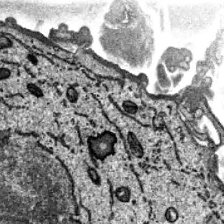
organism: Human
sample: HeLa cells